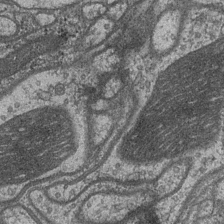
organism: Drosophila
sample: Optic medulla